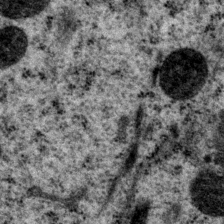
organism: P. pacificus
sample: Pharynx